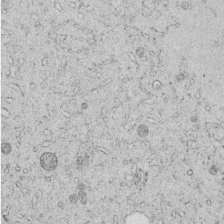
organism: C. elegans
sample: C. elegans embryo early stage